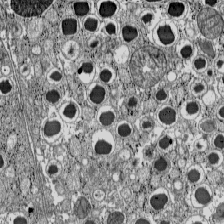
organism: C57BL Mouse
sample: Pancreatic islet